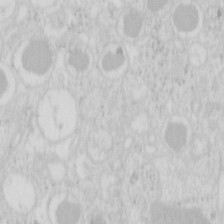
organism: Mouse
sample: Pancreas